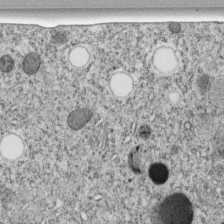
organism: C. elegans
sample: C. elegans embryo early stage